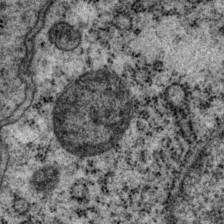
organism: P. pacificus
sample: Pharynx